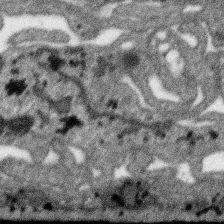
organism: Human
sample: Lung epithelial cells infected with SARS-CoV-2